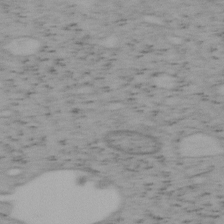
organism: Mouse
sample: OT-I killer T cells with ID8 ovarian cancer cells